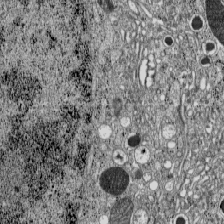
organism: C57BL Mouse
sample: Pancreatic islet